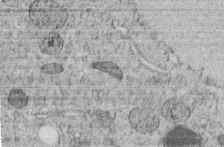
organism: C. elegans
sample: C. elegans embryo early stage